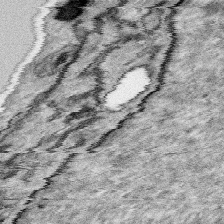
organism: Human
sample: HeLa cells